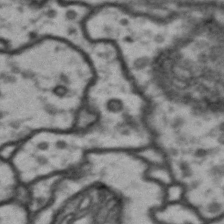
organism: Drosophila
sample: Brain